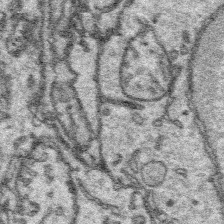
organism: Platynereis dumerilii